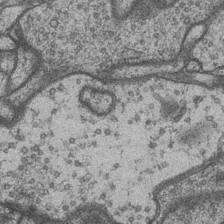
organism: Drosophila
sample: Optic medulla